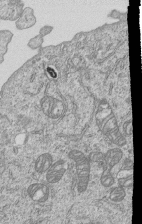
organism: Human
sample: MDA-MB-231 cells